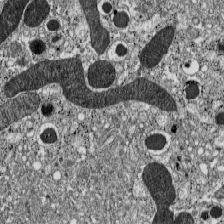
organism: C57BL Mouse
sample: Pancreatic islet